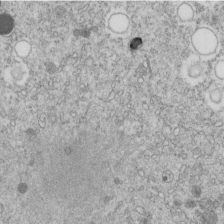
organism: C. elegans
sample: C. elegans embryo early stage